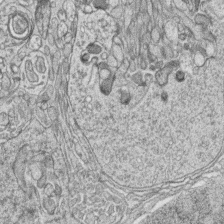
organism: Zebrafish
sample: synaptic ribbons in rod cells and cone cells